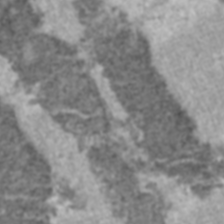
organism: C57BL Mouse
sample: Heart